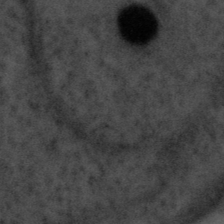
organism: Tuwongella immobilis